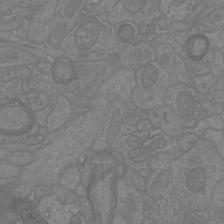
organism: Mouse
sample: Cortical neurons